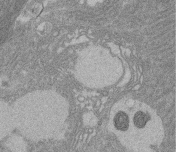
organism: Rat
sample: Salivary granule